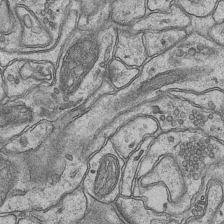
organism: Mouse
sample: CA1 Hippocampus